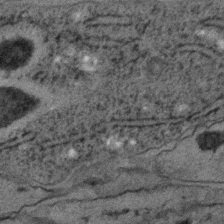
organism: C. elegans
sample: C. elegans embryo